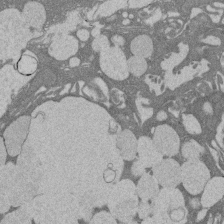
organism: Rat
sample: Salivary granule